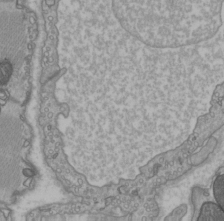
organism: C57BL Mouse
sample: Heart